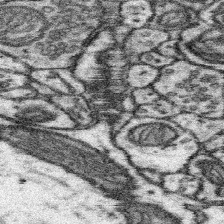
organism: Mouse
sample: Somatosensory cortex neuropil